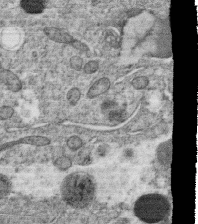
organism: C. elegans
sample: C. elegans oocyte; sperm cells